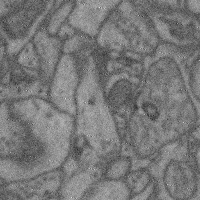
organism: Mouse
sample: Cerebral cortex